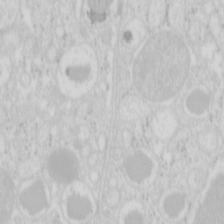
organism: Mouse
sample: Pancreas